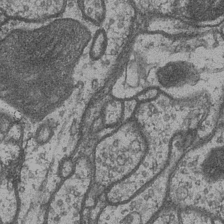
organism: Drosophila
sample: Optic medulla